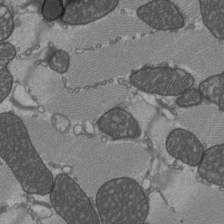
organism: C57BL Mouse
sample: Heart